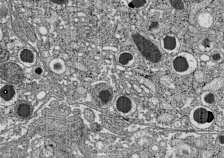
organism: C57BL Mouse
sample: Pancreatic islet